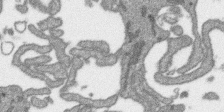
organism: Human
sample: Lung epithelial cells infected with SARS-CoV-2